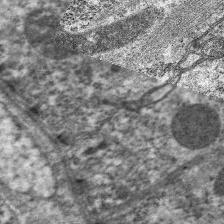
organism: C. elegans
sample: Pharynx